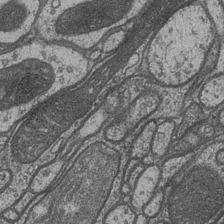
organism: Drosophila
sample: Optic medulla